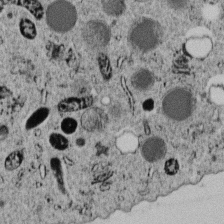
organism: C. elegans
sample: C. elegans embryo early stage